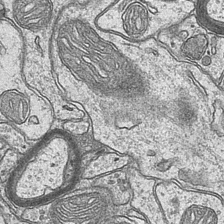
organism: Mouse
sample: CA1 Hippocampus